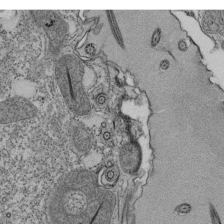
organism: Tetrahymena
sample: Cilia in tetrahymena